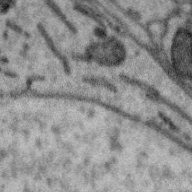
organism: Zebra finch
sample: Brain